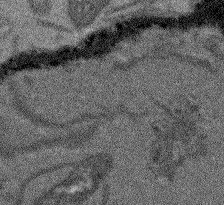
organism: Arabidopsis thaliana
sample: Root tip